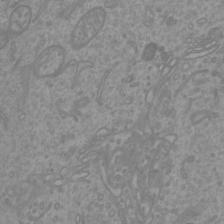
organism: Mouse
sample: Cortical neurons